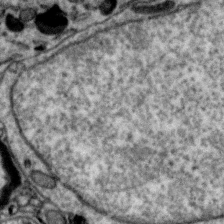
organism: Zebra finch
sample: Brain